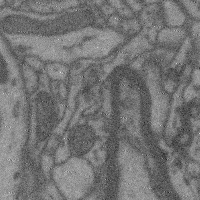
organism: Mouse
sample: Cerebral cortex